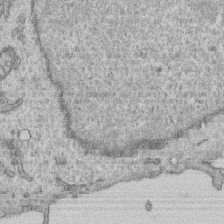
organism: Human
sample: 1205lu cells